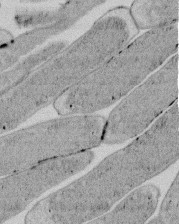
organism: E. coli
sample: Bacterial nucleoid